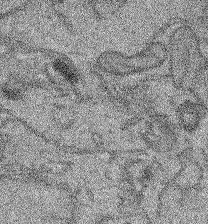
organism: Human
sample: HeLa cells